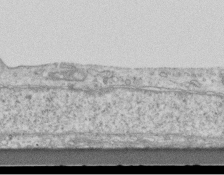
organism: Mouse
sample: Centriole in ependymal cells